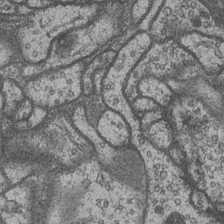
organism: Drosophila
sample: Optic medulla